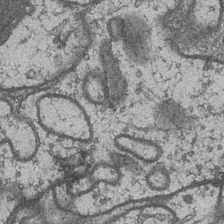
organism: Drosophila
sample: Optic medulla